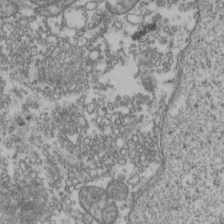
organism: Human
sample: Activated Jurkat CD4+ T cells